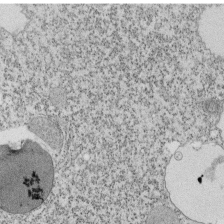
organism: Tetrahymena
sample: Cilia in tetrahymena